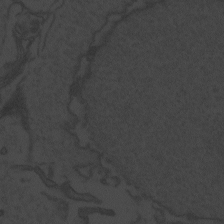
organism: Zebrafish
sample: Macrophage infected with Toxoplasma gondii